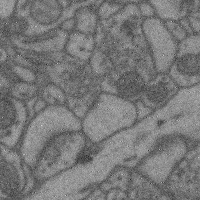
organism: Mouse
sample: Cerebral cortex